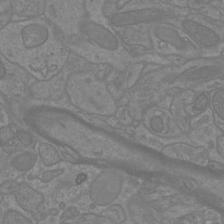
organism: Mouse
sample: Cortical neurons